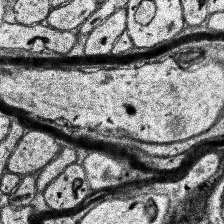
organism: Human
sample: Temporal Lobe